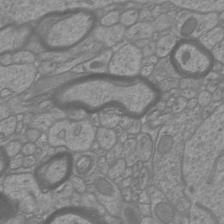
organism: Mouse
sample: Cortical neurons